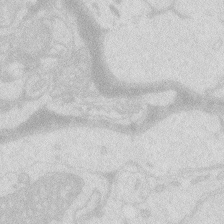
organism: Zebrafish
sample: Macrophage